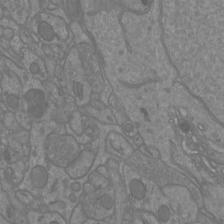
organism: Mouse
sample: Cortical neurons